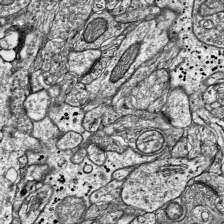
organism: Mouse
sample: Visual Cortex